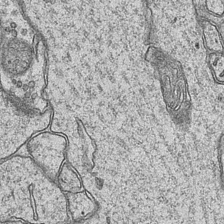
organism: Mouse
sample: CA1 Hippocampus